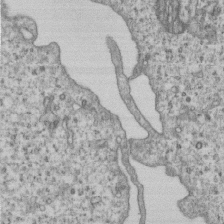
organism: Human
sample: MDA-MB-231 cells